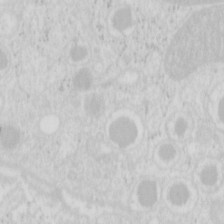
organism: Mouse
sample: Pancreas